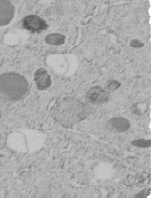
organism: C. elegans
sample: C. elegans embryo early stage